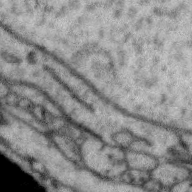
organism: Zebra finch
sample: Brain